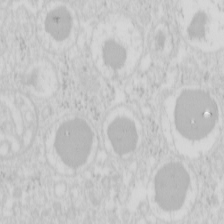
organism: Mouse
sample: Pancreas